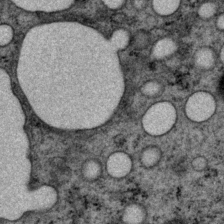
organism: P. pacificus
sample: Pharynx